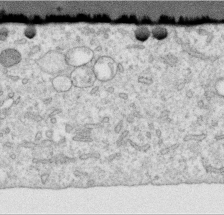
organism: Human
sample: Centriole in RPE cells